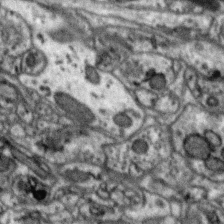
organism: Zebra finch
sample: Brain